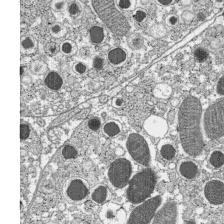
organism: C57BL Mouse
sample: Pancreatic islet